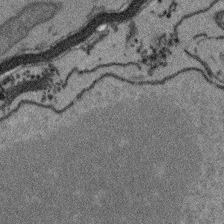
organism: Arabidopsis thaliana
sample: Root tip